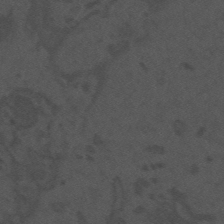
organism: Mouse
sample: Suprachiasmatic nucleus